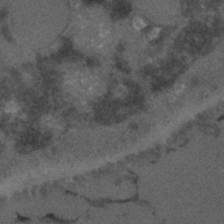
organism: C. elegans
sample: C. elegans embryo